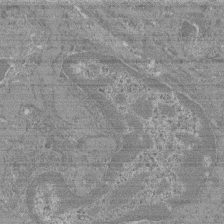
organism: Mouse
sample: Glomerulus